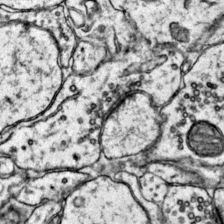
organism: Mouse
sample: Primary visual cortex